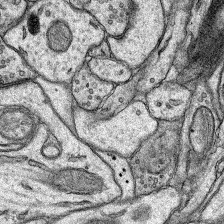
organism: Rat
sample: Hippocampus